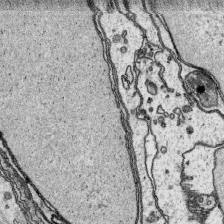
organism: Platynereis dumerilii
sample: Parapodia